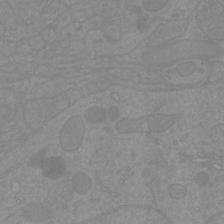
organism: Mouse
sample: Cortical neurons